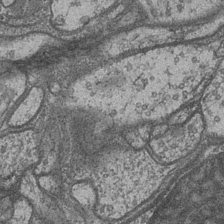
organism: Drosophila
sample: Optic medulla